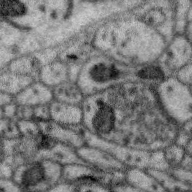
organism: Zebra finch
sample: Brain